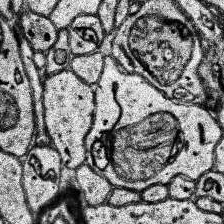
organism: Human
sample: Temporal Lobe